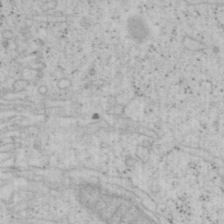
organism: Human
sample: HeLa cells